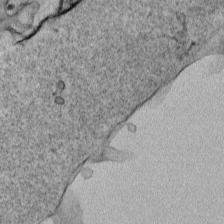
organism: Human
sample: Mitochondria in HCT116 cells